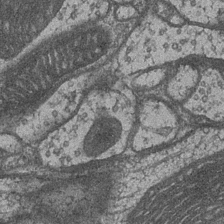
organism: Drosophila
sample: Optic medulla